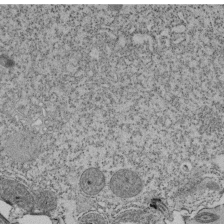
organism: Tetrahymena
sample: Cilia in tetrahymena